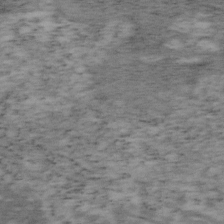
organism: Mouse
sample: OT-I killer T cells with ID8 ovarian cancer cells